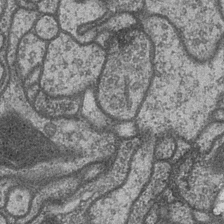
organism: Drosophila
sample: Optic medulla